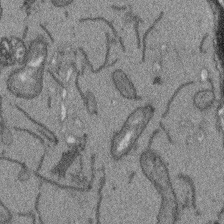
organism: Arabidopsis thaliana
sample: Root tip